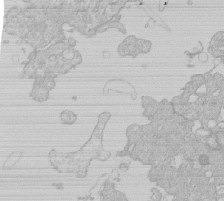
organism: Human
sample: Macrophage cells